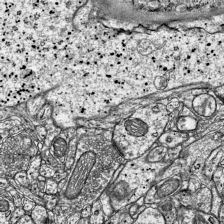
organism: Mouse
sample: Visual Cortex